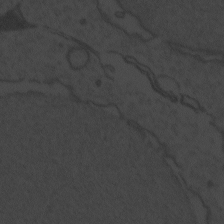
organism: Zebrafish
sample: Macrophage infected with Toxoplasma gondii